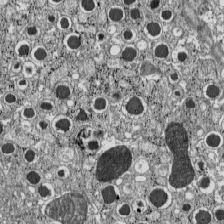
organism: C57BL Mouse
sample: Pancreatic islet